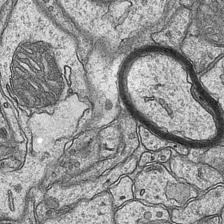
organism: Mouse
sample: CA1 Hippocampus